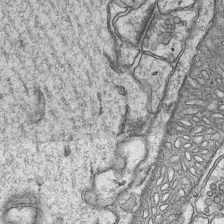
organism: Mouse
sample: CA1 Hippocampus